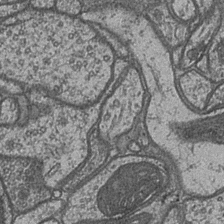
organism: Drosophila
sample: Optic medulla